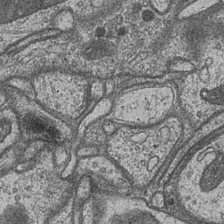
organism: Drosophila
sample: Optic medulla